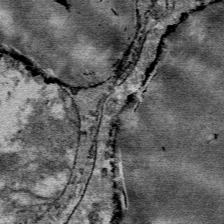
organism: Mouse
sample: Mouse Salivary gland